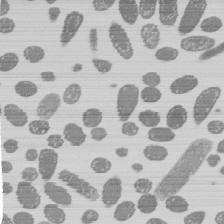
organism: E. coli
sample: Bacterial nucleoid